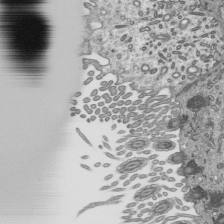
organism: Mouse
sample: Mouse epididymis efferent ductule cilia